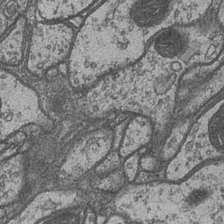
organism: Drosophila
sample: Optic medulla